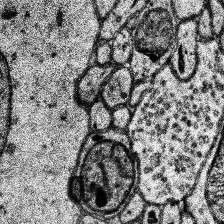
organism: Human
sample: Temporal Lobe